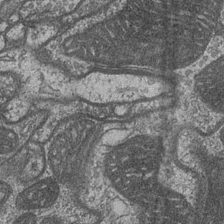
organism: Drosophila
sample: Optic medulla